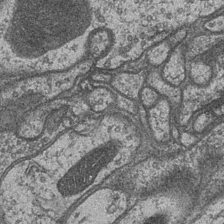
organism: Drosophila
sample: Optic medulla